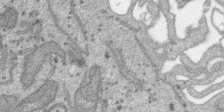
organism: Human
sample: Lung epithelial cells infected with SARS-CoV-2